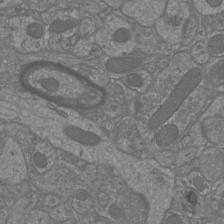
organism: Mouse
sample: Cortical neurons